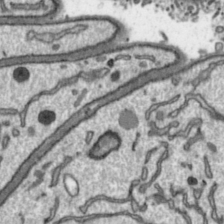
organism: Toxoplasma gondii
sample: Parasites in a vacuole inside a host cell